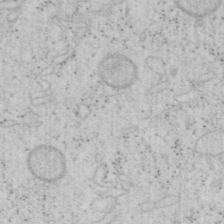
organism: Human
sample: HeLa cells